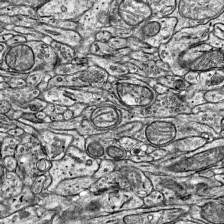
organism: Mouse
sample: Visual Cortex